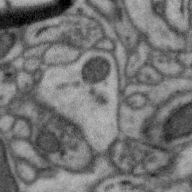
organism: Zebra finch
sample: Brain